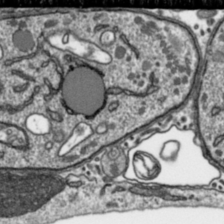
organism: Toxoplasma gondii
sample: Parasites in a vacuole inside a host cell